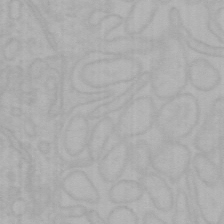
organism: Mouse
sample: Choroid plexus